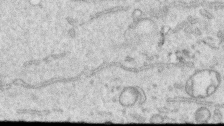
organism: Human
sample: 1205lu cells